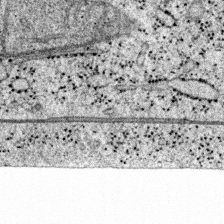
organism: Human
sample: HeLa cells